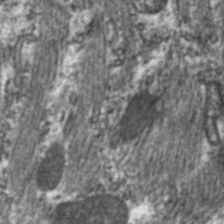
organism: C. elegans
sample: Pharynx